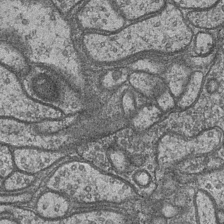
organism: Drosophila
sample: Optic medulla